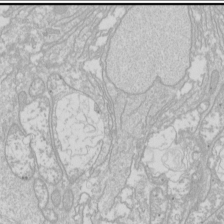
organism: Drosophila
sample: Cell division; meiosis; drosophila spermatocytes